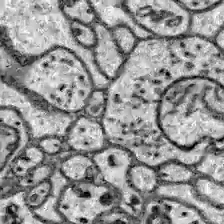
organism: Zebrafish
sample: Brain